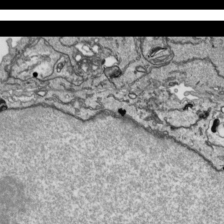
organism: Human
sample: Mitochondria in HCT116 cells